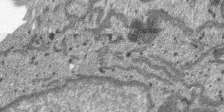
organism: Human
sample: Lung epithelial cells infected with SARS-CoV-2